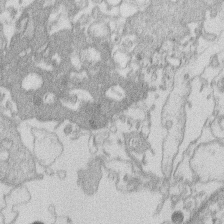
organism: Human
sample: Macrophage cells